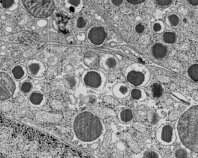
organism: C57BL Mouse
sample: Pancreatic islet